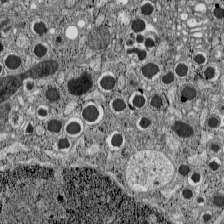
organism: C57BL Mouse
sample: Pancreatic islet